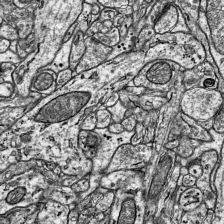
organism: Mouse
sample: Visual Cortex